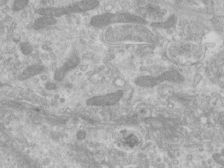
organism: Human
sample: Centriole in RPE cells